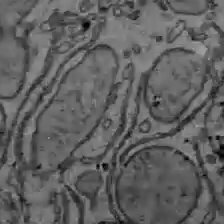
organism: C57BL Mouse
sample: Liver